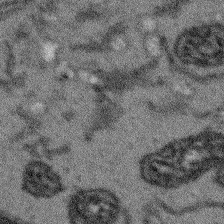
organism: Arabidopsis thaliana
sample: Root tip